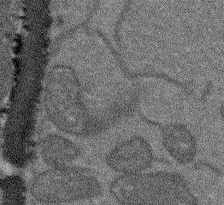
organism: Arabidopsis thaliana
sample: Root tip